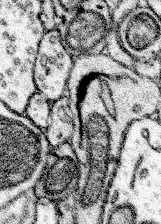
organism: Mouse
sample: Somatosensory cortex neuropil